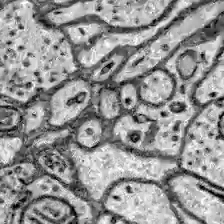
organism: Zebrafish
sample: Brain